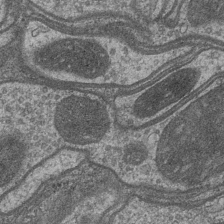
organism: Drosophila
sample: Optic medulla